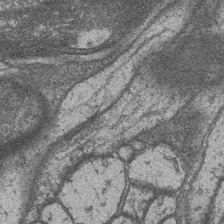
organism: Drosophila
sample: Optic medulla